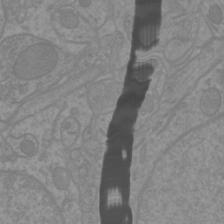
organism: Mouse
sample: Cortical neurons